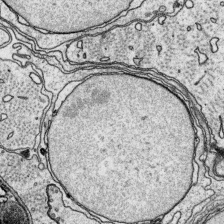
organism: Platynereis dumerilii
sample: Parapodia